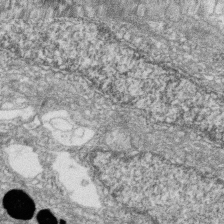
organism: Zebrafish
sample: Cilia; retinal pigment epithelium